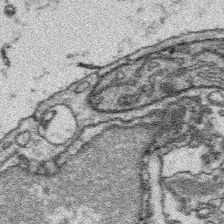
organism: Platynereis dumerilii